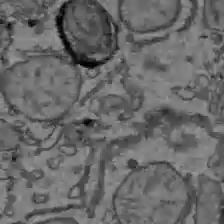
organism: C57BL Mouse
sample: Liver